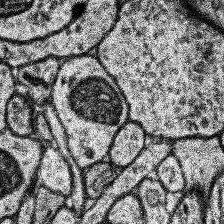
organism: Human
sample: Temporal Lobe